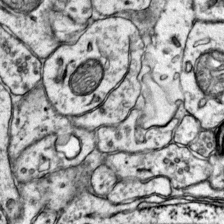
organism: Mouse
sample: Primary visual cortex